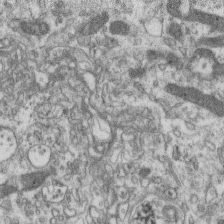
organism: Mouse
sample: Centriole in ependymal cells